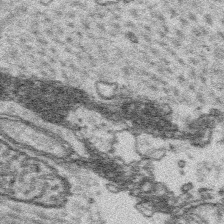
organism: Platynereis dumerilii